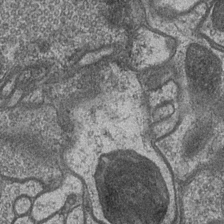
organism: Drosophila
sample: Optic medulla